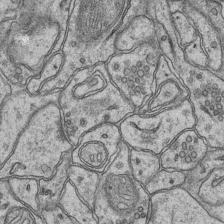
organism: Mouse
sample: CA1 Hippocampus